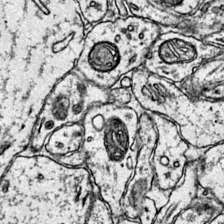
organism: Mouse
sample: Primary visual cortex